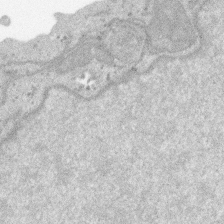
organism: Human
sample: Lung epithelial cells infected with SARS-CoV-2